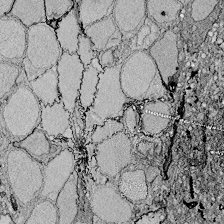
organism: Zebrafish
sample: Whole-Brain